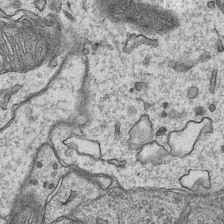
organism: Mouse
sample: CA1 Hippocampus